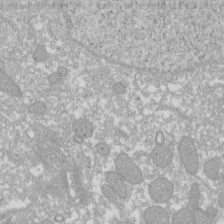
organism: Xenopus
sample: Cilia; centrioles in frog embryo cells